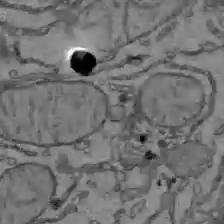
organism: C57BL Mouse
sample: Liver